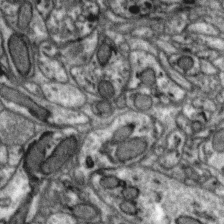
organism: Zebra finch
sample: Brain